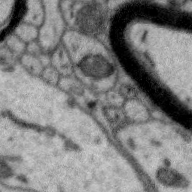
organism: Zebra finch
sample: Brain